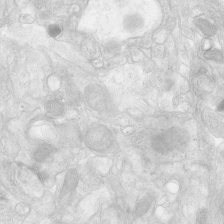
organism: Human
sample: Neocortex